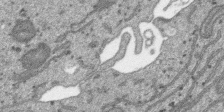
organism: Human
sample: Lung epithelial cells infected with SARS-CoV-2